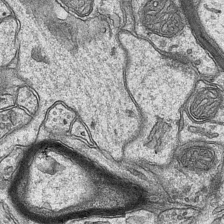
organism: Mouse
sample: CA1 Hippocampus